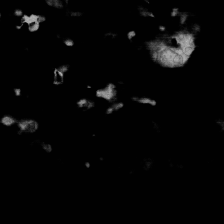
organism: Human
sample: Fibroblast cells